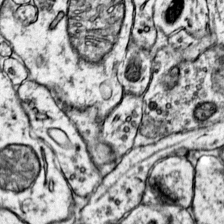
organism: Mouse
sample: Primary visual cortex